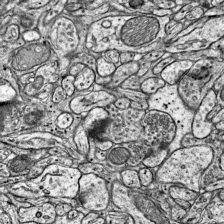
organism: Mouse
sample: Visual Cortex